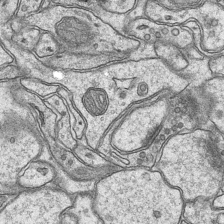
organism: Mouse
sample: CA1 Hippocampus